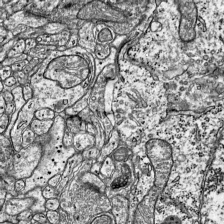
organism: Mouse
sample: Visual Cortex